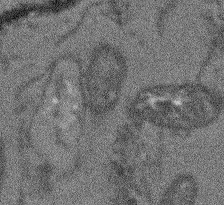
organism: Arabidopsis thaliana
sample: Root tip